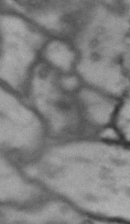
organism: Drosophila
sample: Brain